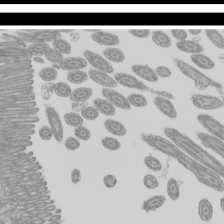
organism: Mouse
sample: Cilia; mouse epididymis